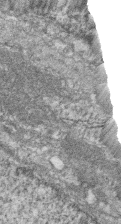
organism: Zebrafish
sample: Cilia; retinal pigment epithelium